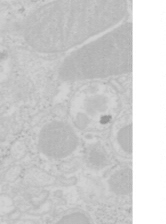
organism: Mouse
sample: Pancreas